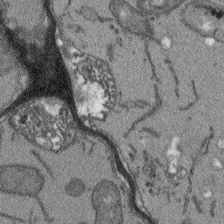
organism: Arabidopsis thaliana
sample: Root tip